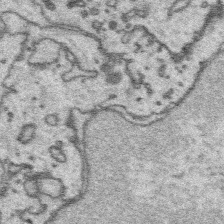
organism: Platynereis dumerilii